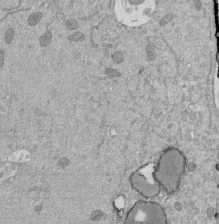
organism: Mouse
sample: ED-1 cell nuclei; centrioles